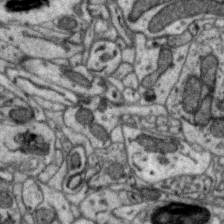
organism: Zebra finch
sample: Brain